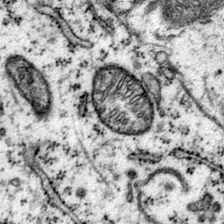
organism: Mouse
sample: Primary visual cortex